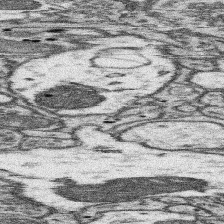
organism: Mouse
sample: Somatosensory cortex neuropil